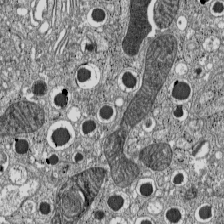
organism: C57BL Mouse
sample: Pancreatic islet